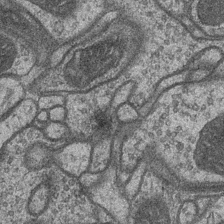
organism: Drosophila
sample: Optic medulla